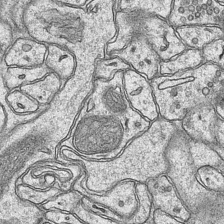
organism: Mouse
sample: CA1 Hippocampus